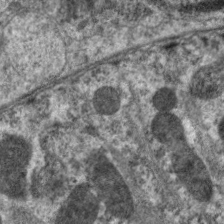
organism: C. elegans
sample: Pharynx